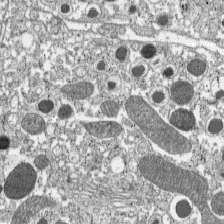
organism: C57BL Mouse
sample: Pancreatic islet